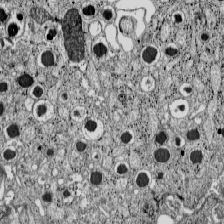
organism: C57BL Mouse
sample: Pancreatic islet